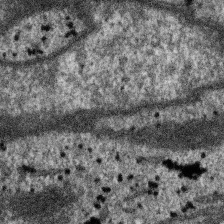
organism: Human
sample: Lung epithelial cells infected with SARS-CoV-2